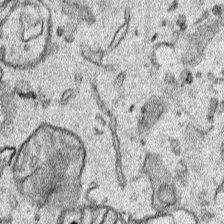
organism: Human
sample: Mitochondria in HCT116 cells